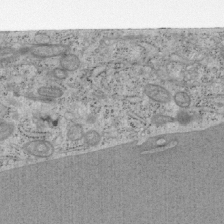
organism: Human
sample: HeLa cells